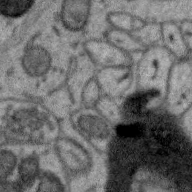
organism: Zebra finch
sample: Brain